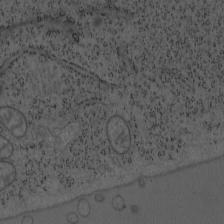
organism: Mouse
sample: OT-I killer T cells with ID8 ovarian cancer cells